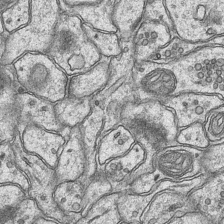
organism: Mouse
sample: CA1 Hippocampus